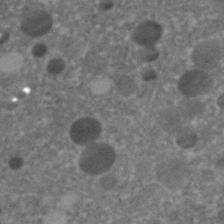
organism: C. elegans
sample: C. elegans embryo